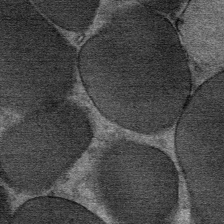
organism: Mouse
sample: Mouse Salivary gland